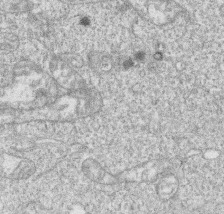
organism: Human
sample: HeLa cell HIV synapse